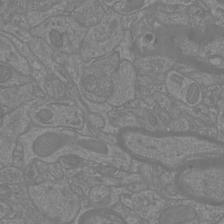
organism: Mouse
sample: Cortical neurons